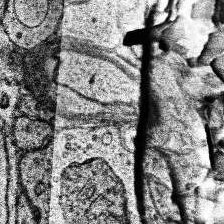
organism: Human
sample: Temporal Lobe